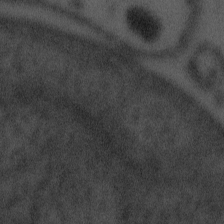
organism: Tuwongella immobilis